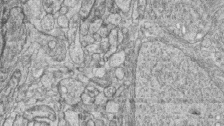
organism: Zebrafish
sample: synaptic ribbons in rod cells and cone cells